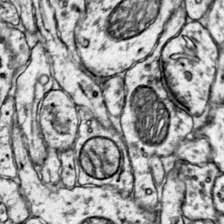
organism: Mouse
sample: Primary visual cortex